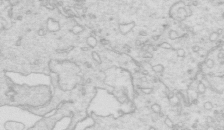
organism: Mouse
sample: Multiciliated cells